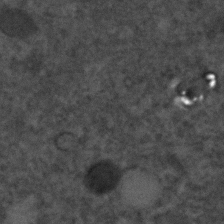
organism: C. elegans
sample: C. elegans embryo